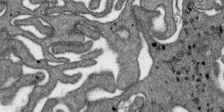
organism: Human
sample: Lung epithelial cells, uninfected (mock) control